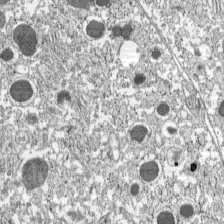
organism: C57BL Mouse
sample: Pancreatic islet